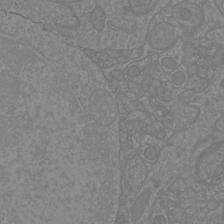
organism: Mouse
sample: Cortical neurons